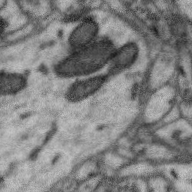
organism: Zebra finch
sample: Brain